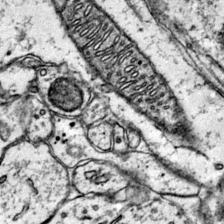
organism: Mouse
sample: Primary visual cortex